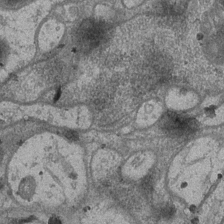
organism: Drosophila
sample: Optic medulla